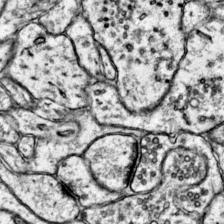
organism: Mouse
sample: Primary visual cortex